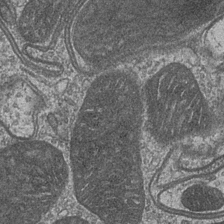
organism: Drosophila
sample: Optic medulla